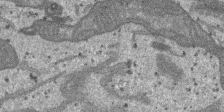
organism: Human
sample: Lung epithelial cells infected with SARS-CoV-2